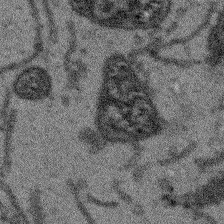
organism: Arabidopsis thaliana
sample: Root tip